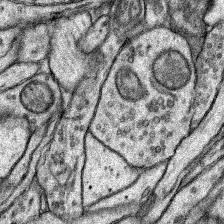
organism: Rat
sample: Hippocampus